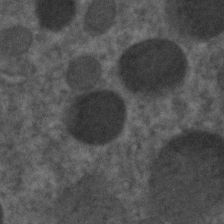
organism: C. elegans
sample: C. elegans embryo